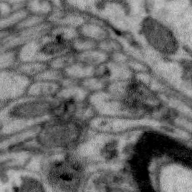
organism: Zebra finch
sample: Brain